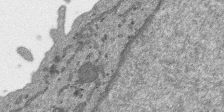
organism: Human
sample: Lung epithelial cells infected with SARS-CoV-2